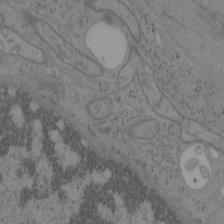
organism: Mouse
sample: OT-I killer T cells with ID8 ovarian cancer cells